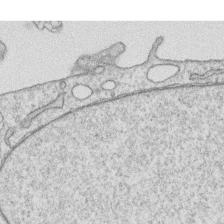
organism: Human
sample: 1205lu cells